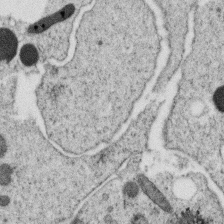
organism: C. elegans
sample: C. elegans oocyte; sperm cells